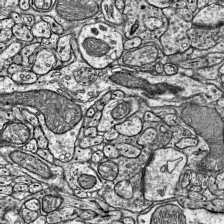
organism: Mouse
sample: Visual Cortex